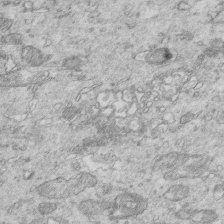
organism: Mouse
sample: Multiciliated cells